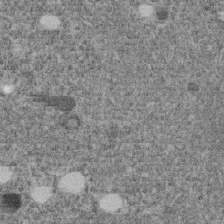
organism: C. elegans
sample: C. elegans embryo early stage